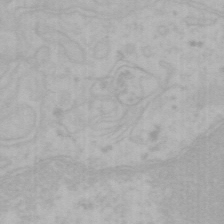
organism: Mouse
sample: Choroid plexus